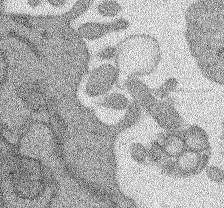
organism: Human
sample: HeLa cells